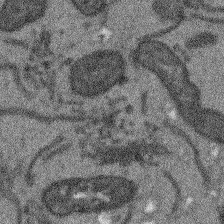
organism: Arabidopsis thaliana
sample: Root tip